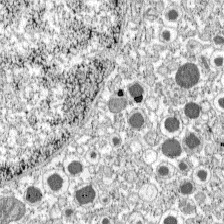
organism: C57BL Mouse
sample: Pancreatic islet